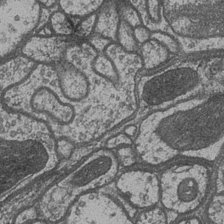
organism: Drosophila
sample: Optic medulla